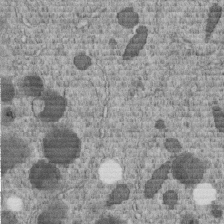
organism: C. elegans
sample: C. elegans embryo early stage